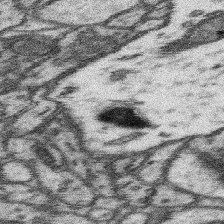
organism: Mouse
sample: Somatosensory cortex neuropil